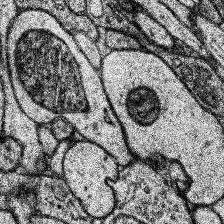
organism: Human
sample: Temporal Lobe